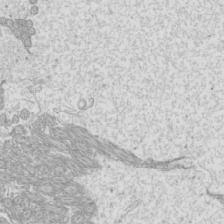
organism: Mouse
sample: Cilia; mouse epididymis